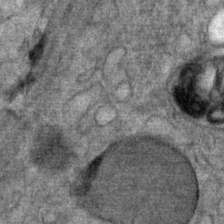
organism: Mouse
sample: Mouse Salivary gland